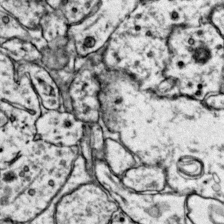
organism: Mouse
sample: Primary visual cortex